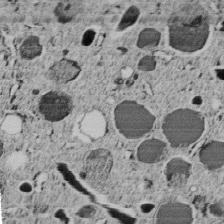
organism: C. elegans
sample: C. elegans embryo early stage